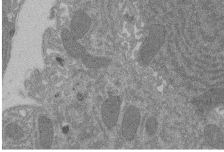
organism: Rat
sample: Salivary granule